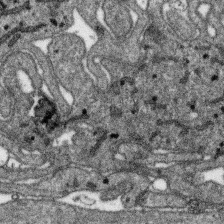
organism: Human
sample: Lung epithelial cells infected with SARS-CoV-2